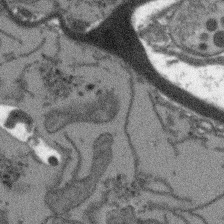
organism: Arabidopsis thaliana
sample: Root tip